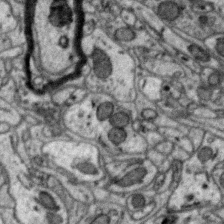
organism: Zebra finch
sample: Brain